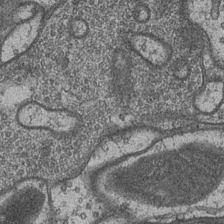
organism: Drosophila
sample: Optic medulla